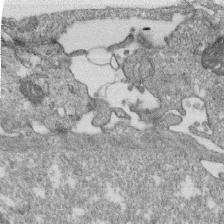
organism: African green monkey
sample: Vero E6 cells infected with SARS-CoV-2